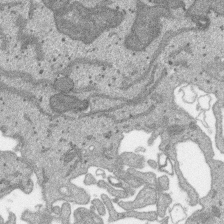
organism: Human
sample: Lung epithelial cells infected with SARS-CoV-2